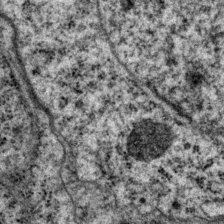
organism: P. pacificus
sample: Pharynx